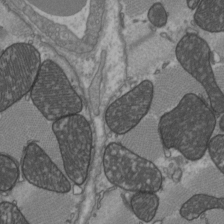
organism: C57BL Mouse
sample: Heart